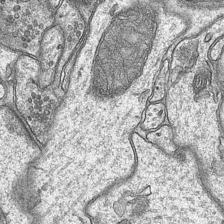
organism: Mouse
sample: CA1 Hippocampus